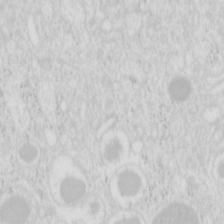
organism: Mouse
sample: Pancreas